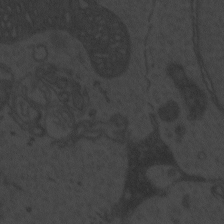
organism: Zebrafish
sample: Macrophage infected with Toxoplasma gondii